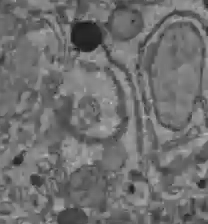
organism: C57BL Mouse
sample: Liver